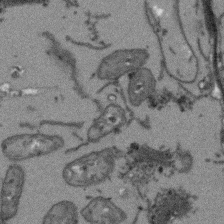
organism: Arabidopsis thaliana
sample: Root tip